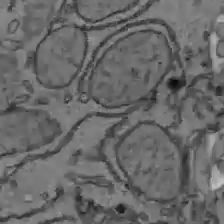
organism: C57BL Mouse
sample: Liver